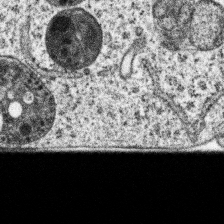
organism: Human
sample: HeLa cells